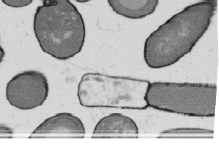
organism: B. subtilis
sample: Bacterial spore